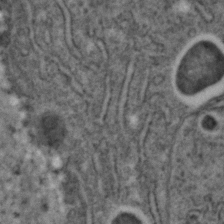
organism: C. elegans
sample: C. elegans embryo